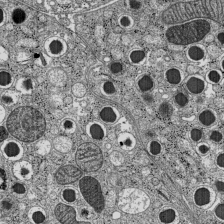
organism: C57BL Mouse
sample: Pancreatic islet